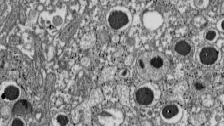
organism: C57BL Mouse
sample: Pancreatic islet